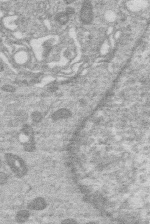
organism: Human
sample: Macrophage cells